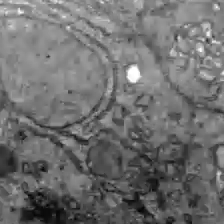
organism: C57BL Mouse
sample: Liver